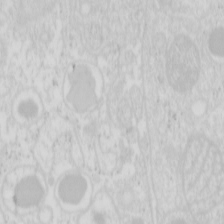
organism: Mouse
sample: Pancreas